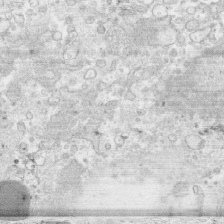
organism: Human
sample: CRL-1474